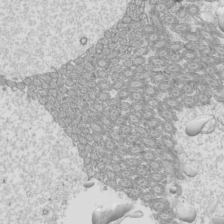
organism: Mouse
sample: Cilia; mouse epididymis